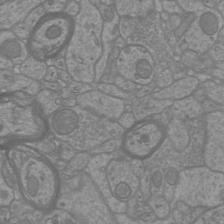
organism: Mouse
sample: Cortical neurons